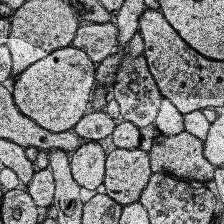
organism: Human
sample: Temporal Lobe